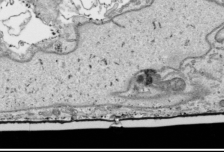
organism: Human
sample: Mitochondria in HCT116 cells